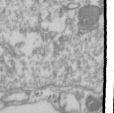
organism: Drosophila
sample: Cell division; meiosis; drosophila spermatocytes